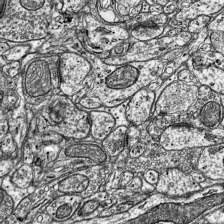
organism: Mouse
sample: Visual Cortex